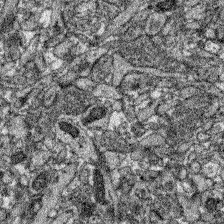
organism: Zebrafish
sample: Larval olfactory bulb